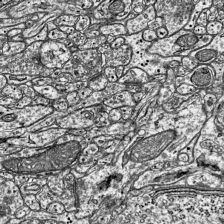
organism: Mouse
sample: Visual Cortex